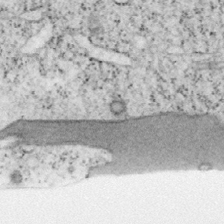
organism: Mouse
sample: OT-I killer T cells with ID8 ovarian cancer cells